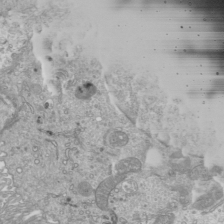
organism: Mouse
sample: Cilia; mouse epididymis